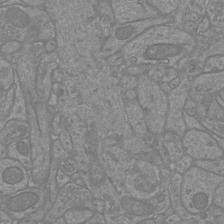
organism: Mouse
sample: Cortical neurons